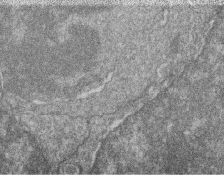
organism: Zebrafish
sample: Cilia; retinal pigment epithelium